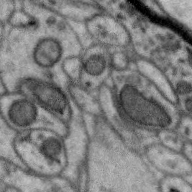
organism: Zebra finch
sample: Brain